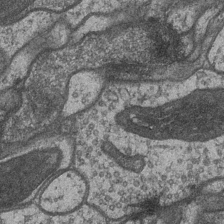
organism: Drosophila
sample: Optic medulla